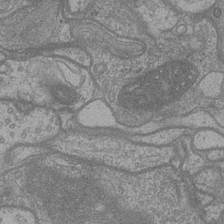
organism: Drosophila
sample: Optic medulla